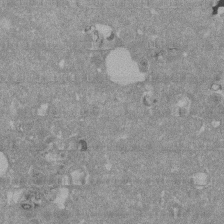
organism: Mouse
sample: ED-1 cell nuclei; centrioles